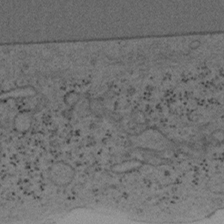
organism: Human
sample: HeLa cells